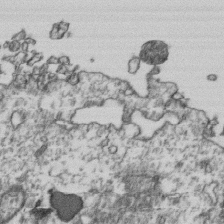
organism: Human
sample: Activated Jurkat CD4+ T cells